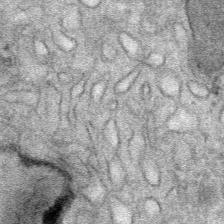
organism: Mouse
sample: Mouse Salivary gland